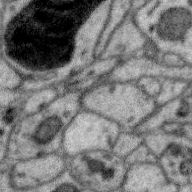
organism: Zebra finch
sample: Brain